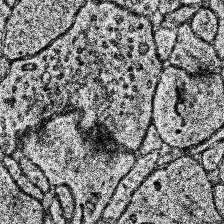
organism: Human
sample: Temporal Lobe